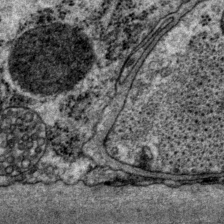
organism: P. pacificus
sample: Pharynx